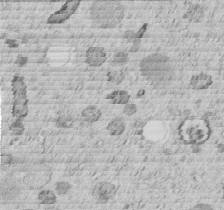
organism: C. elegans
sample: C. elegans embryo early stage